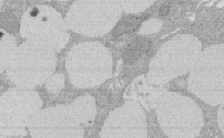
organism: Rat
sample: Salivary granule